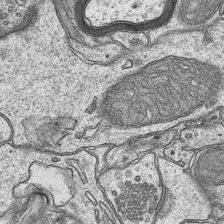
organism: Mouse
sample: CA1 Hippocampus